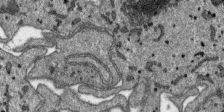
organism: Human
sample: Lung epithelial cells, uninfected (mock) control